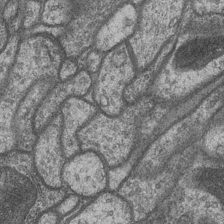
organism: Drosophila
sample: Optic medulla